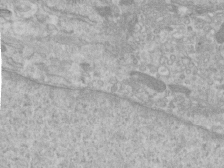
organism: Human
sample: Centriole in RPE cells